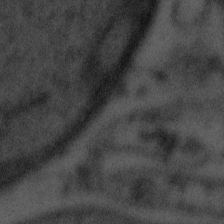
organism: Tuwongella immobilis